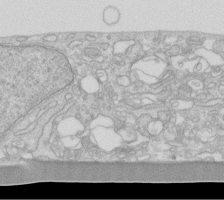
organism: Human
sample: Fibroblast cells